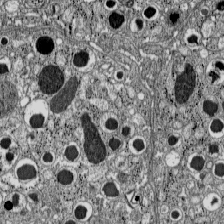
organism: C57BL Mouse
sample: Pancreatic islet